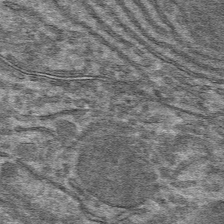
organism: Mouse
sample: Mouse hepatocytes